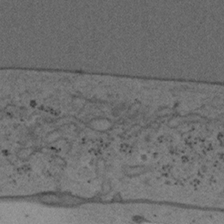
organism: Human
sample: HeLa cells